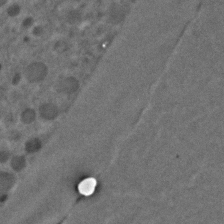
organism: C. elegans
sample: C. elegans embryo